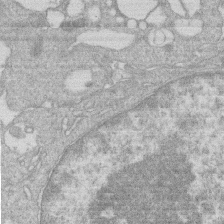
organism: Human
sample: Macrophage cells